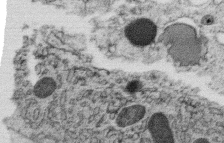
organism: C. elegans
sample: C. elegans oocyte; sperm cells